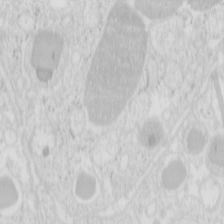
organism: Mouse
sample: Pancreas